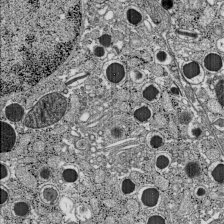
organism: C57BL Mouse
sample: Pancreatic islet